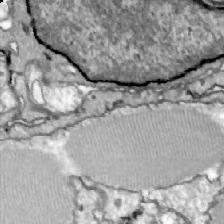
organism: Zebrafish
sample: Actinotrichia fibers